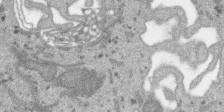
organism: Human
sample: Lung epithelial cells infected with SARS-CoV-2